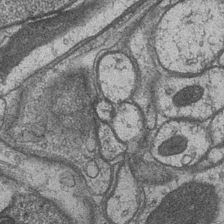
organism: Drosophila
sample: Optic medulla